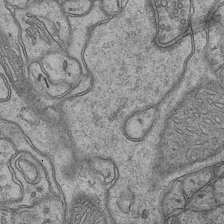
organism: Mouse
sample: CA1 Hippocampus